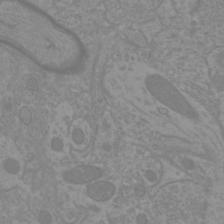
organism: Mouse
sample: Cortical neurons